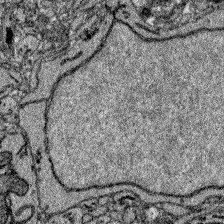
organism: Zebrafish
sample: Larval olfactory bulb